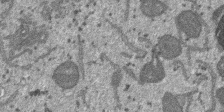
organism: Human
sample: Lung epithelial cells infected with SARS-CoV-2